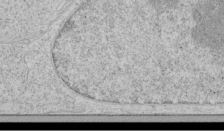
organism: Human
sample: Mitochondria in HCT116 cells